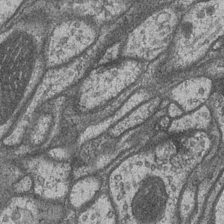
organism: Drosophila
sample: Optic medulla